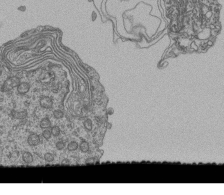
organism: Human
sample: Retinal organoid Rod and Cone cells